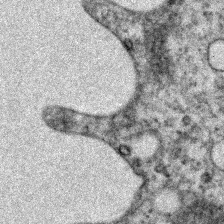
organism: Zebrafish